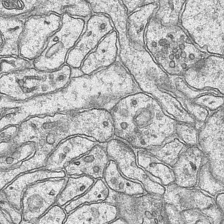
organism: Mouse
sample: CA1 Hippocampus